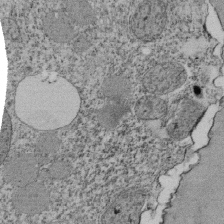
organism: Tetrahymena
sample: Cilia in tetrahymena